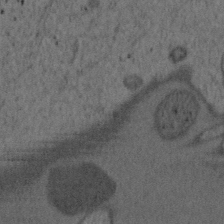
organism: Human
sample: HeLa cells